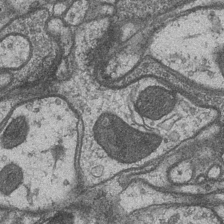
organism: Drosophila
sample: Optic medulla